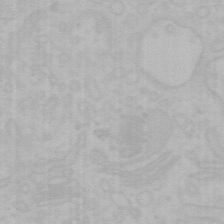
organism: Mouse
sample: Choroid plexus